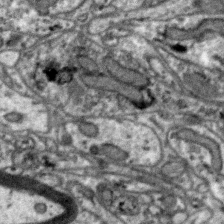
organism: Zebra finch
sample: Brain